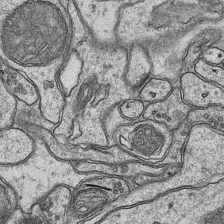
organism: Mouse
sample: CA1 Hippocampus